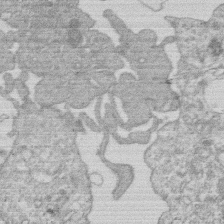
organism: Human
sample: Macrophage cells